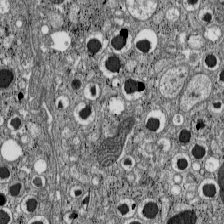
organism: C57BL Mouse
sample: Pancreatic islet